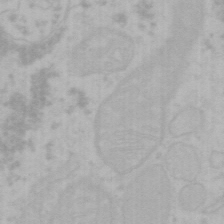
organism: Mouse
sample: Choroid plexus